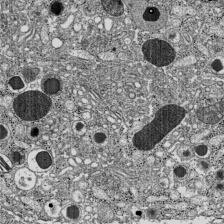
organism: C57BL Mouse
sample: Pancreatic islet